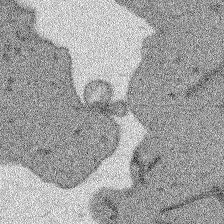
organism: Human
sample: HeLa cells